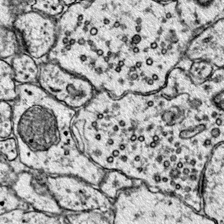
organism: Mouse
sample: Primary visual cortex